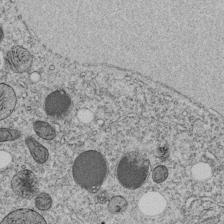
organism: C. elegans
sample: C. elegans embryo early stage